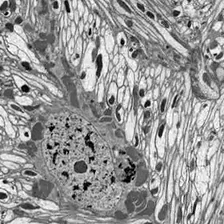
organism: Drosophila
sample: Optic lobe